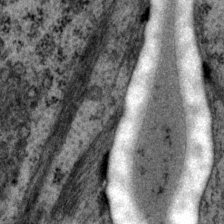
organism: P. pacificus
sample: Pharynx